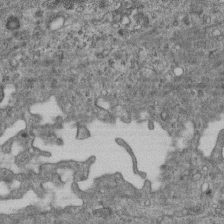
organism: Mouse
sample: Centriole in ependymal cells